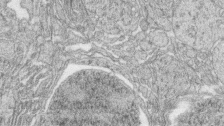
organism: Zebrafish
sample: synaptic ribbons in rod cells and cone cells